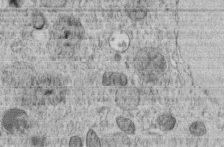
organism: C. elegans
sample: C. elegans embryo early stage